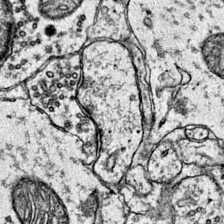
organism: Mouse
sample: Primary visual cortex